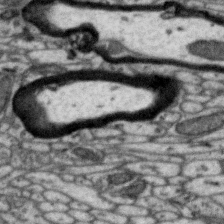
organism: Zebra finch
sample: Brain